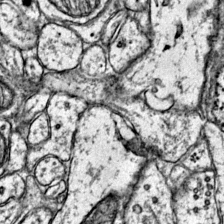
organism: Mouse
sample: Primary visual cortex